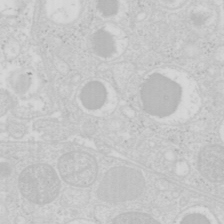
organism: Mouse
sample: Pancreas